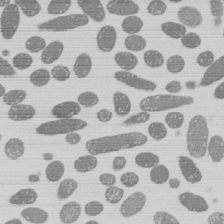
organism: E. coli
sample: Bacterial nucleoid